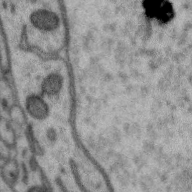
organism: Zebra finch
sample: Brain